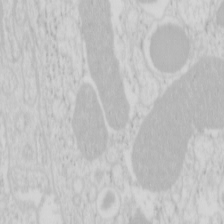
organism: Mouse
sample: Pancreas